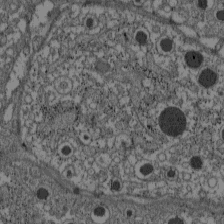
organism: C57BL Mouse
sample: Pancreatic islet